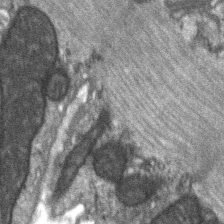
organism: C57BL Mouse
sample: Soleus